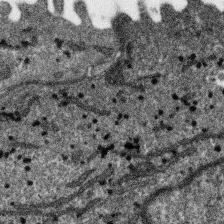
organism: Human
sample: Lung epithelial cells infected with SARS-CoV-2